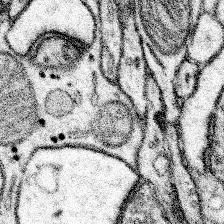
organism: Mouse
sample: Somatosensory cortex neuropil